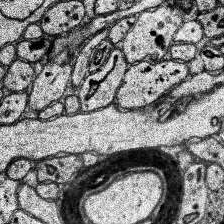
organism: Human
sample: Temporal Lobe